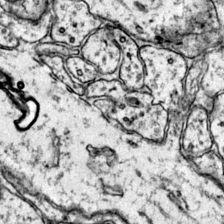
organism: Mouse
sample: Primary visual cortex